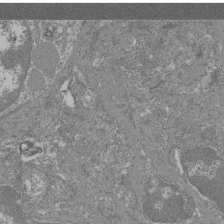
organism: Mouse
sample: Glomerulus